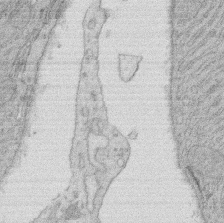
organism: Rat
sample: Salivary granule